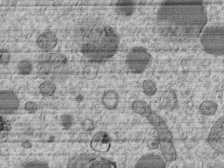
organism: C. elegans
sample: C. elegans embryo early stage